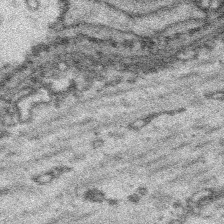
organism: Platynereis dumerilii